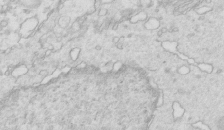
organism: Mouse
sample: Multiciliated cells